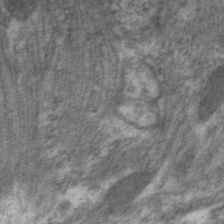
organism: C. elegans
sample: Pharynx